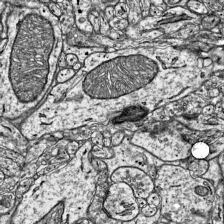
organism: Mouse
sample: Visual Cortex